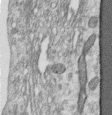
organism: Human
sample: Centriole in RPE cells